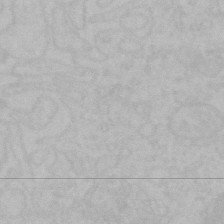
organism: Mouse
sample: Choroid plexus